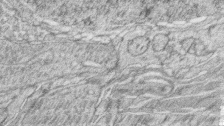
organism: Zebrafish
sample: synaptic ribbons in rod cells and cone cells